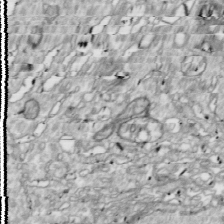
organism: Drosophila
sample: Cell division; meiosis; drosophila spermatocytes